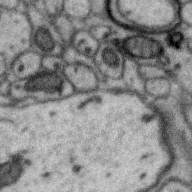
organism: Zebra finch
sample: Brain